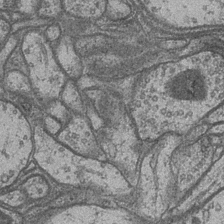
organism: Drosophila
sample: Optic medulla